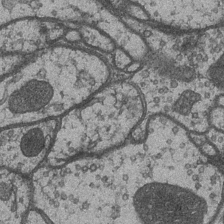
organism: Drosophila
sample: Optic medulla